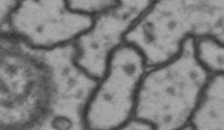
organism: Drosophila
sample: Brain